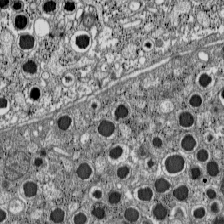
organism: C57BL Mouse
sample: Pancreatic islet